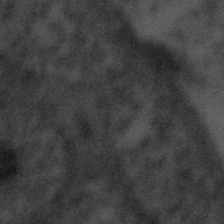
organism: Tuwongella immobilis